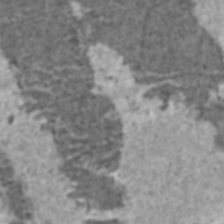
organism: C57BL Mouse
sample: Heart